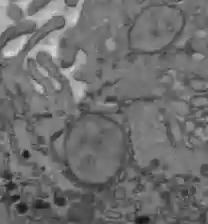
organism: C57BL Mouse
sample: Liver